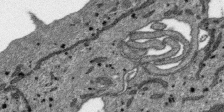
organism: Human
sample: Lung epithelial cells, uninfected (mock) control